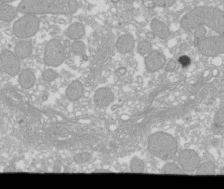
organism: Xenopus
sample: Cilia; centrioles in frog embryo cells